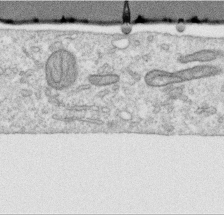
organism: Human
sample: Centriole in RPE cells